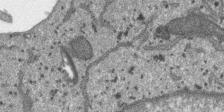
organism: Human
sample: Lung epithelial cells infected with SARS-CoV-2